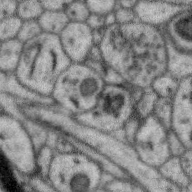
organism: Zebra finch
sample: Brain